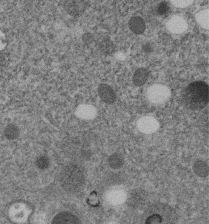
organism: C. elegans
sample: C. elegans embryo early stage